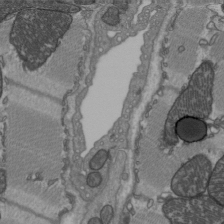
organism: C57BL Mouse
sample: Heart